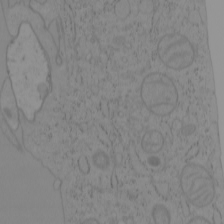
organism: Human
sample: HeLa cells